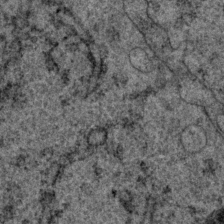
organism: P. pacificus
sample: Pharynx